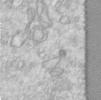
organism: Human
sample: Centriole in RPE cells